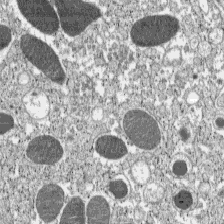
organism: C57BL Mouse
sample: Pancreatic islet